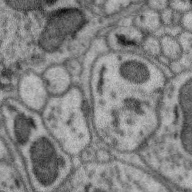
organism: Zebra finch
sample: Brain